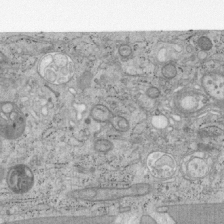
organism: Human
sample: HeLa cells